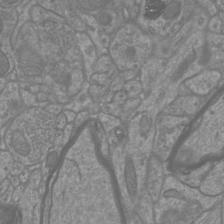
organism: Mouse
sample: Cortical neurons